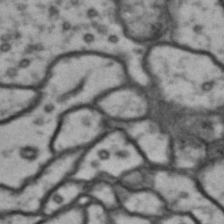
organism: Drosophila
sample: Brain